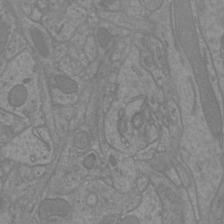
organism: Mouse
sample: Cortical neurons